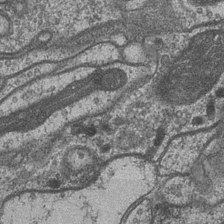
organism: Drosophila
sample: Optic medulla